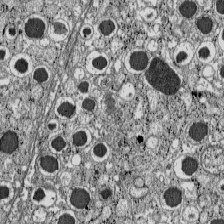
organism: C57BL Mouse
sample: Pancreatic islet